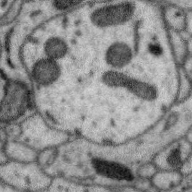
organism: Zebra finch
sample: Brain